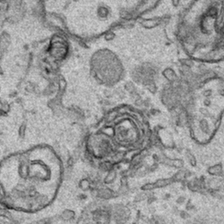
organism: Human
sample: Mitochondria in HCT116 cells